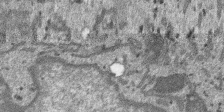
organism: Human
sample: Lung epithelial cells infected with SARS-CoV-2